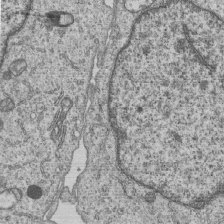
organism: Human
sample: MDA-MB-231 cells